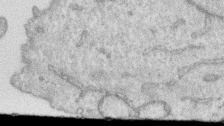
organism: Human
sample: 1205lu cells